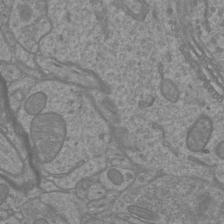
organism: Mouse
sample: Cortical neurons